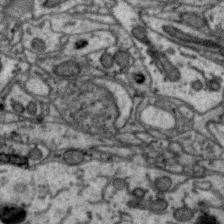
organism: Zebra finch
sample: Brain